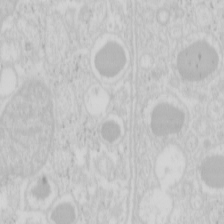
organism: Mouse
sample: Pancreas